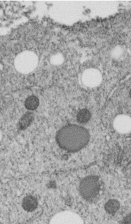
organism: C. elegans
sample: C. elegans embryo early stage